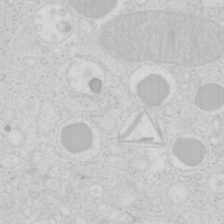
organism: Mouse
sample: Pancreas